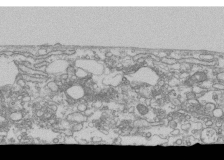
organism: Human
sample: Fibroblast cells